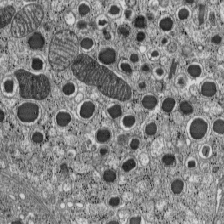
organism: C57BL Mouse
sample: Pancreatic islet